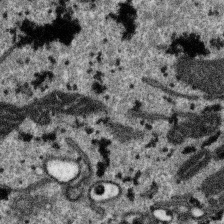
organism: Human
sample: Lung epithelial cells infected with SARS-CoV-2